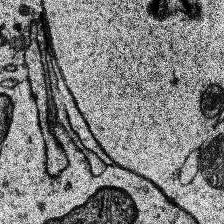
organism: Human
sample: Temporal Lobe